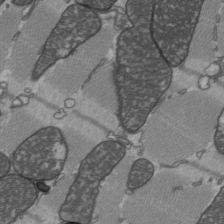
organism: C57BL Mouse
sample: Heart